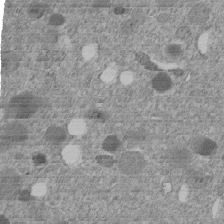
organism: C. elegans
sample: C. elegans embryo early stage